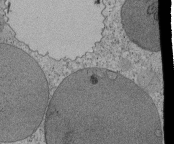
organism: Tetrahymena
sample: Cilia in tetrahymena